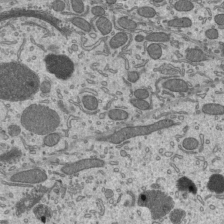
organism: Mouse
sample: Mouse epididymis efferent ductule cilia